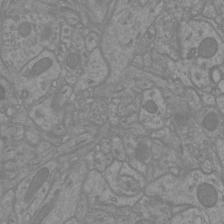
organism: Mouse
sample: Cortical neurons